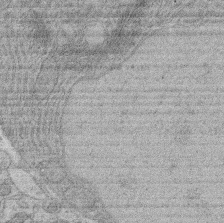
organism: Rat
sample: Salivary granule